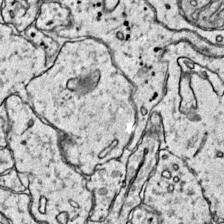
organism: Mouse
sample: Primary visual cortex